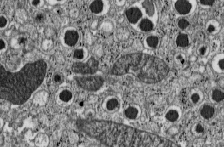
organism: C57BL Mouse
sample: Pancreatic islet